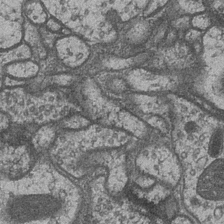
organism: Drosophila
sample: Optic medulla